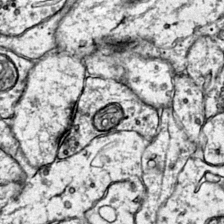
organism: Mouse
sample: Primary visual cortex